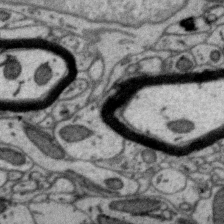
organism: Zebra finch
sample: Brain